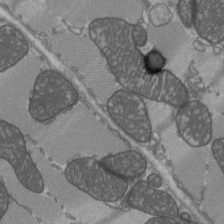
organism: C57BL Mouse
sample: Heart